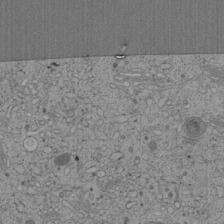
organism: African green monkey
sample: COS-7 cells